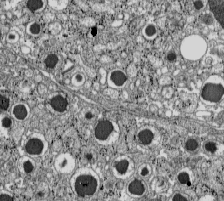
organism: C57BL Mouse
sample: Pancreatic islet